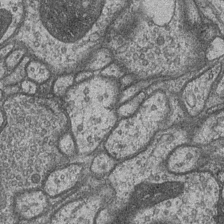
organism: Drosophila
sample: Optic medulla